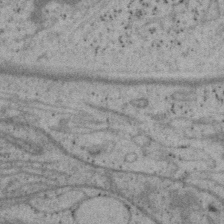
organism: Human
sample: HeLa cells